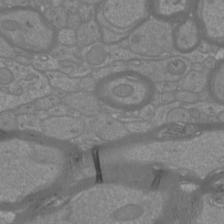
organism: Mouse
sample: Cortical neurons